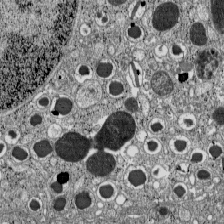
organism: C57BL Mouse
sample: Pancreatic islet